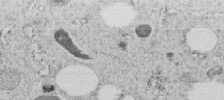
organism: C. elegans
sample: C. elegans embryo early stage